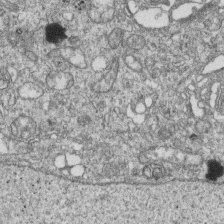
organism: Human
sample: HeLa cell HIV synapse